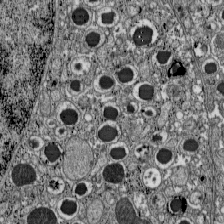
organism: C57BL Mouse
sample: Pancreatic islet